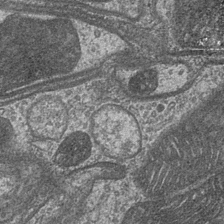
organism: Drosophila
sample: Optic medulla